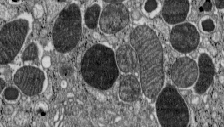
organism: C57BL Mouse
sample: Pancreatic islet